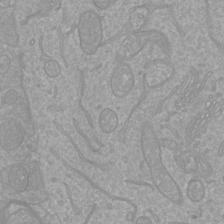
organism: Mouse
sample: Cortical neurons